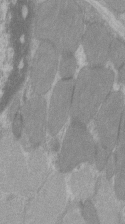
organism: C57BL Mouse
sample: Tibialis anterior muscle cell